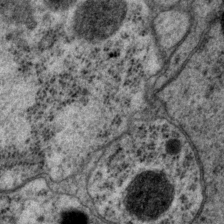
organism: P. pacificus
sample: Pharynx